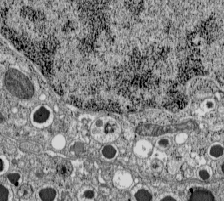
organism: C57BL Mouse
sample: Pancreatic islet